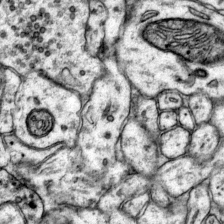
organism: Mouse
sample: Primary visual cortex